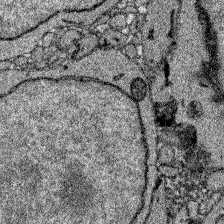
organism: Zebrafish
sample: Larval olfactory bulb